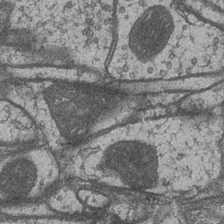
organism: Drosophila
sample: Optic medulla